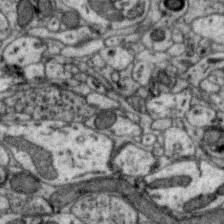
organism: Zebra finch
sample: Brain